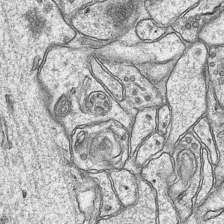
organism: Mouse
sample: CA1 Hippocampus